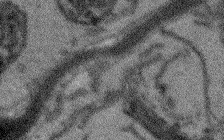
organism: Arabidopsis thaliana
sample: Root tip